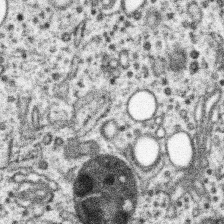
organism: Human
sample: HeLa cells